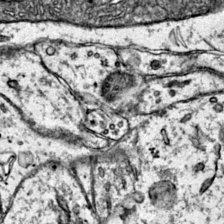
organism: Mouse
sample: Primary visual cortex